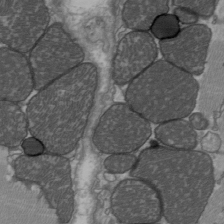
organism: C57BL Mouse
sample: Heart